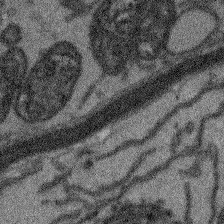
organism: Arabidopsis thaliana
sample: Root tip